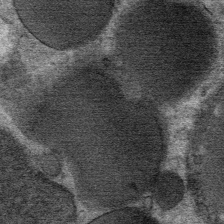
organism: Mouse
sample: Mouse Salivary gland